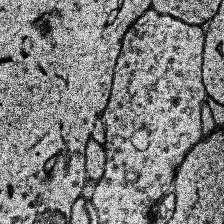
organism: Human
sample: Temporal Lobe